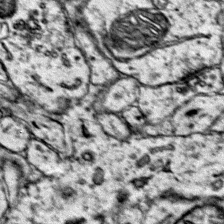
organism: Mouse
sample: Primary visual cortex